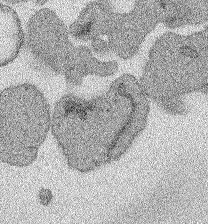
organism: Human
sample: HeLa cells